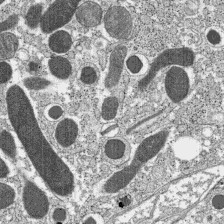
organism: C57BL Mouse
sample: Pancreatic islet